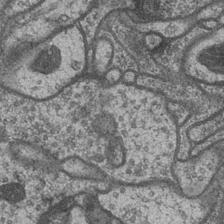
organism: Drosophila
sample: Optic medulla